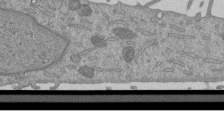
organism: Mouse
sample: ED-1 cell nuclei; centrioles